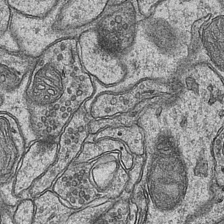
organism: Mouse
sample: CA1 Hippocampus